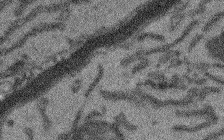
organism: Arabidopsis thaliana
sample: Root tip